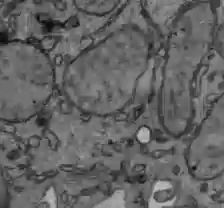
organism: C57BL Mouse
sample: Liver